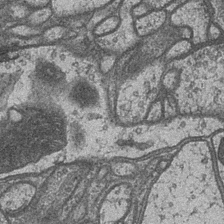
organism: Drosophila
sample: Optic medulla